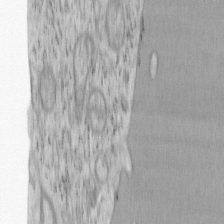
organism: Human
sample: HeLa cells